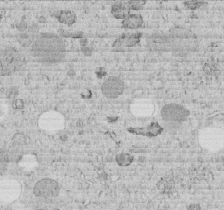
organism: C. elegans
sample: C. elegans embryo early stage